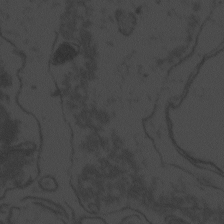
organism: Zebrafish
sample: Macrophage infected with Toxoplasma gondii